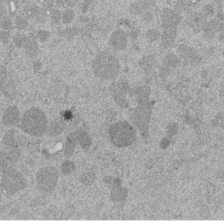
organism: Mouse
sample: Dividing mouse embryo 1 cell stage